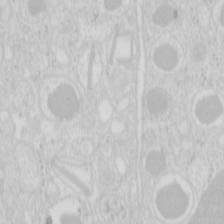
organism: Mouse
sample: Pancreas